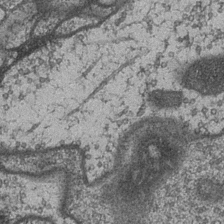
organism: Drosophila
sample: Optic medulla